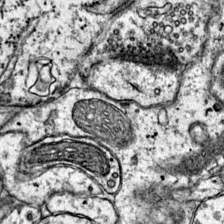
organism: Mouse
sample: Primary visual cortex